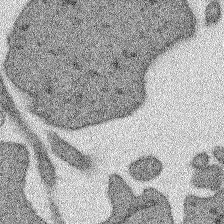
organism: Human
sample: HeLa cells